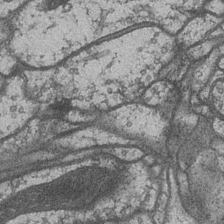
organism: Drosophila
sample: Optic medulla